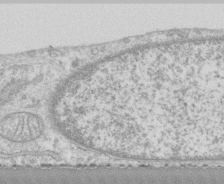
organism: Human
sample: CRL-1474